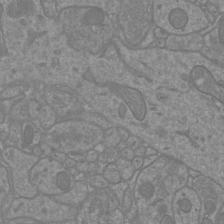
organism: Mouse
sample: Cortical neurons